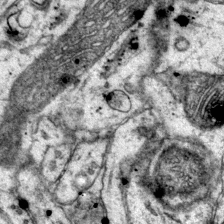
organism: Mouse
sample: Primary visual cortex